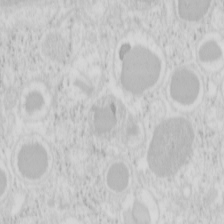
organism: Mouse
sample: Pancreas